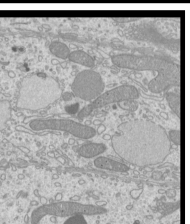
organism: Mouse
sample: Cilia; mouse epididymis